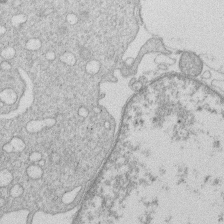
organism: Human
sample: Macrophage cells